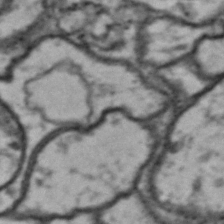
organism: Drosophila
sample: Brain